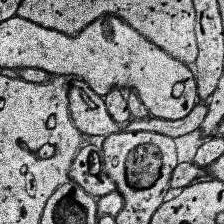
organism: Human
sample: Temporal Lobe